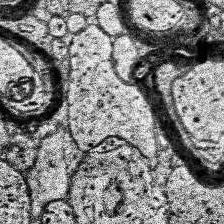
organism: Human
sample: Temporal Lobe